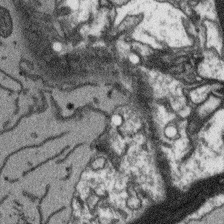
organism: Arabidopsis thaliana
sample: Root tip